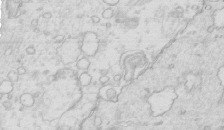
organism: Mouse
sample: Multiciliated cells